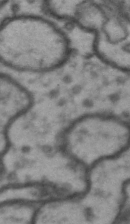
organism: Drosophila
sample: Brain